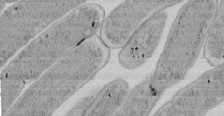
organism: E. coli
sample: Bacterial nucleoid